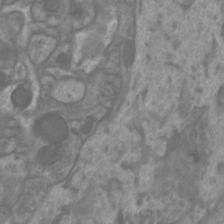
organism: Mouse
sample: Cortical neurons